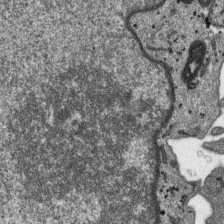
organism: Human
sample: Lung epithelial cells infected with SARS-CoV-2